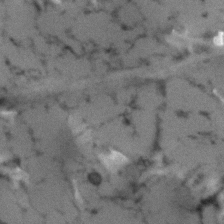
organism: Human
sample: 1205lu cells